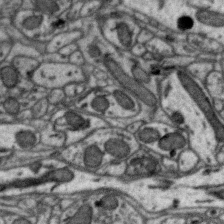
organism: Zebra finch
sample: Brain